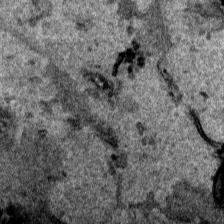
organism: Human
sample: Mitochondria in HCT116 cells